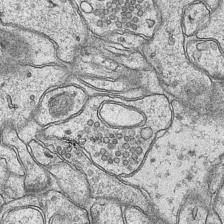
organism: Mouse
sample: CA1 Hippocampus